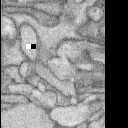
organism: Rabbit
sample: Retina